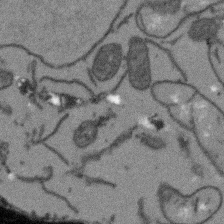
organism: Arabidopsis thaliana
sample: Root tip